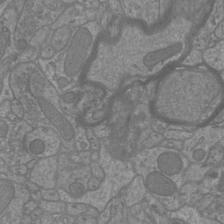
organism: Mouse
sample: Cortical neurons